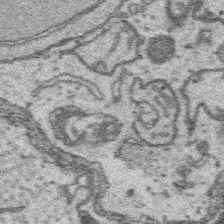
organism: Platynereis dumerilii